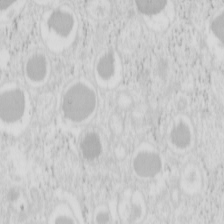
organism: Mouse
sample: Pancreas